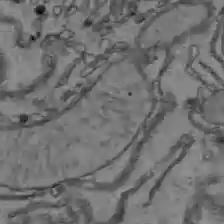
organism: C57BL Mouse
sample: Liver